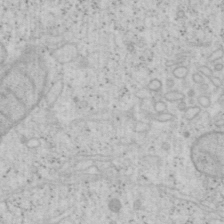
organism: Human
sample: HeLa cells